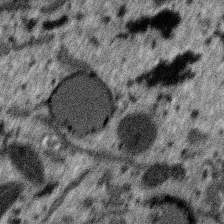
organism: Human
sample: Lung epithelial cells infected with SARS-CoV-2